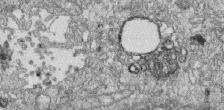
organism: Human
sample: HeLa cell HIV synapse